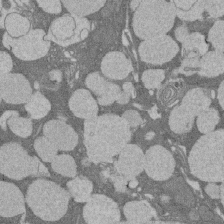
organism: Rat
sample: Salivary granule